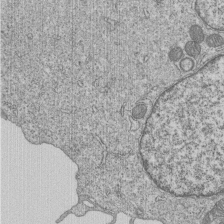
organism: Human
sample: MDA-MB-231 cells